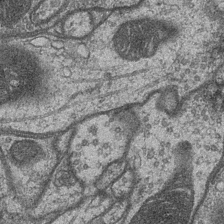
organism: Drosophila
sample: Optic medulla